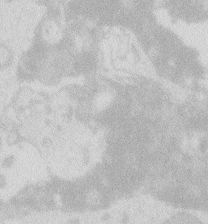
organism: Zebrafish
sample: Macrophage